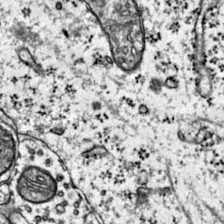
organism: Mouse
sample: Primary visual cortex